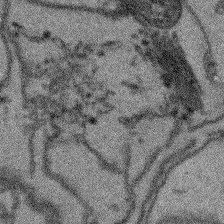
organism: Arabidopsis thaliana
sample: Root tip